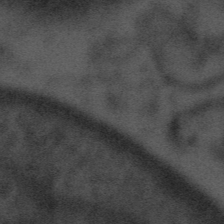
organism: Tuwongella immobilis